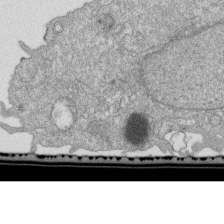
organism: Human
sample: HeLa cell HIV synapse